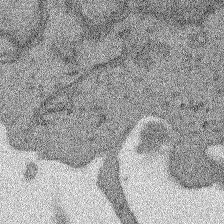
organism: Human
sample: HeLa cells